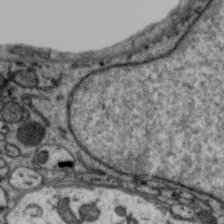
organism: Zebra finch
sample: Brain